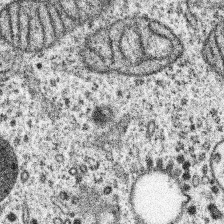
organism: Human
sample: HeLa cells